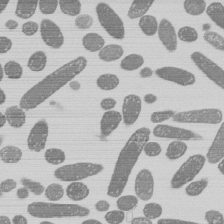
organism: E. coli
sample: Bacterial nucleoid